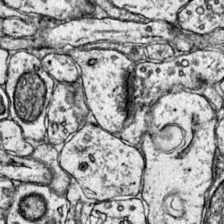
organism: Mouse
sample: Primary visual cortex